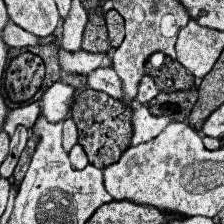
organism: Human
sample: Temporal Lobe